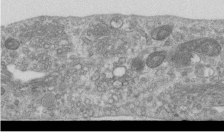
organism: Human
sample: Centriole in RPE cells